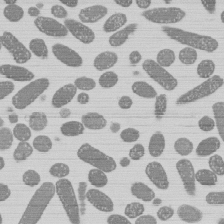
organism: E. coli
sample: Bacterial nucleoid